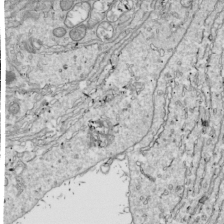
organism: Drosophila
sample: Cell division; meiosis; drosophila spermatocytes